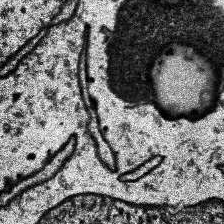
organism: Human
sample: Temporal Lobe